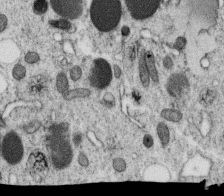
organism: C. elegans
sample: C. elegans oocyte; sperm cells